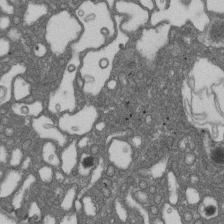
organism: Drosophila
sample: Nephrocyte